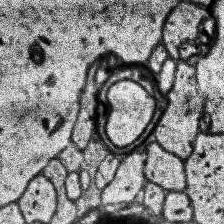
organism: Human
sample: Temporal Lobe